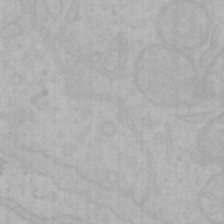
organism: Mouse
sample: Choroid plexus